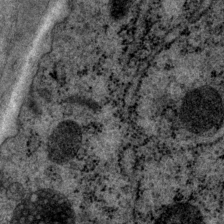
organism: P. pacificus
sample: Pharynx